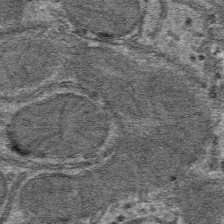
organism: Mouse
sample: Mouse hepatocytes